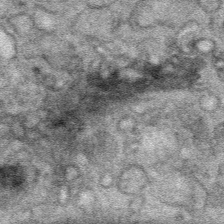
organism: Mouse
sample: Mouse Salivary gland